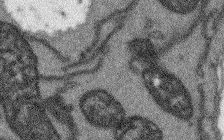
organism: Arabidopsis thaliana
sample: Root tip